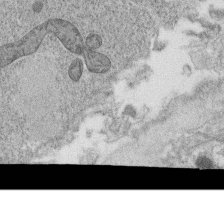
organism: C. elegans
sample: C. elegans oocyte; sperm cells